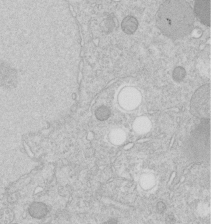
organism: C. elegans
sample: C. elegans embryo early stage